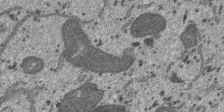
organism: Human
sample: Lung epithelial cells infected with SARS-CoV-2